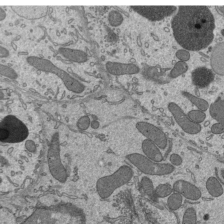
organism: Mouse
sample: Mouse epididymis efferent ductule cilia